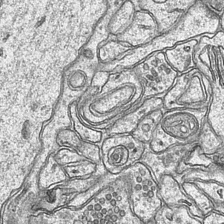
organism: Mouse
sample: CA1 Hippocampus